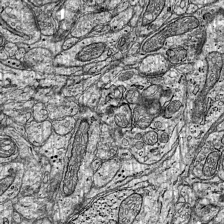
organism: Mouse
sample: Visual Cortex